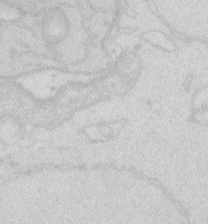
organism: Zebrafish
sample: Macrophage